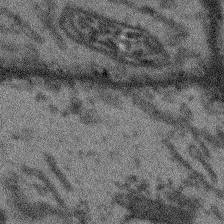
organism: Arabidopsis thaliana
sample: Root tip